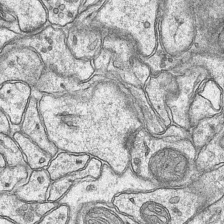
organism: Mouse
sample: CA1 Hippocampus